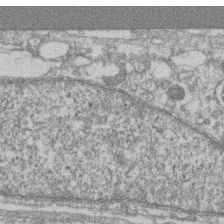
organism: Mouse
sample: T cell stromal cell synapse